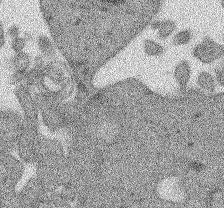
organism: Human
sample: HeLa cells